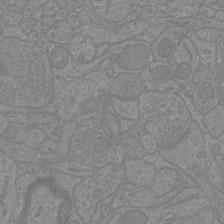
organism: Mouse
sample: Cortical neurons